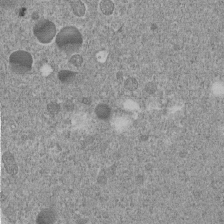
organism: C. elegans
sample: C. elegans embryo early stage